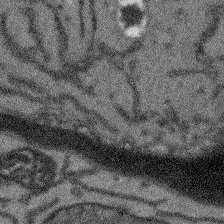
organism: Arabidopsis thaliana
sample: Root tip